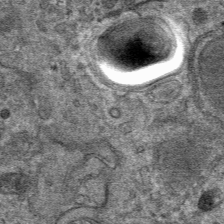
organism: Mouse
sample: Mouse hepatocytes